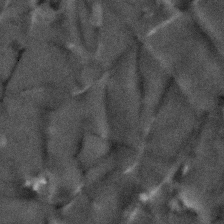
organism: Human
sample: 1205lu cells